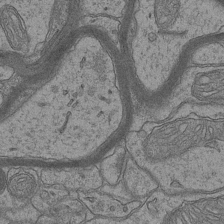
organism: Mouse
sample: CA1 Hippocampus